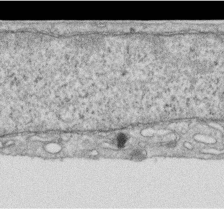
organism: Human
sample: Centriole in RPE cells